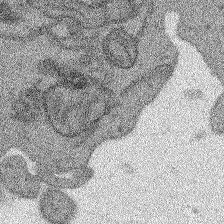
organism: Human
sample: HeLa cells